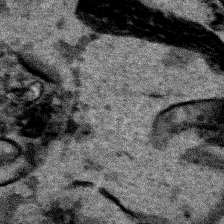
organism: Human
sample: Mitochondria in HCT116 cells